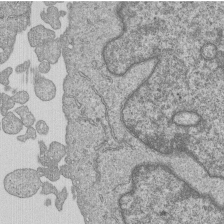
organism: Human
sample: MDA-MB-231 cells